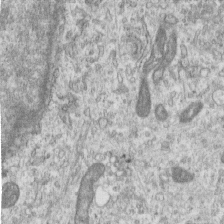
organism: Human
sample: Centriole in RPE cells